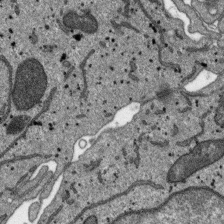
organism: Human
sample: Lung epithelial cells, uninfected (mock) control